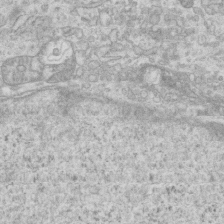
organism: Mouse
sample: Centriole in ependymal cells